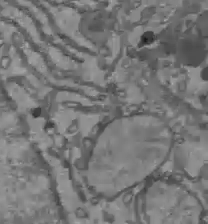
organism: C57BL Mouse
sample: Liver